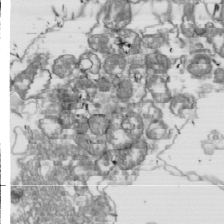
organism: Drosophila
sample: Cell division; meiosis; drosophila spermatocytes